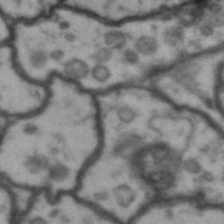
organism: Drosophila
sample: Brain